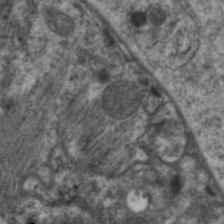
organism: C. elegans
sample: Pharynx